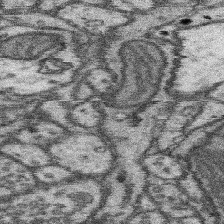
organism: Mouse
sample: Somatosensory cortex neuropil